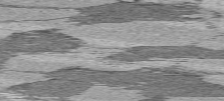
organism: C57BL Mouse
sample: Heart